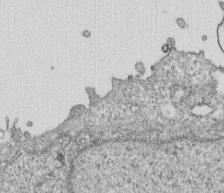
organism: Human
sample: HeLa cell HIV synapse